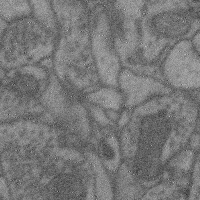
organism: Mouse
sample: Cerebral cortex